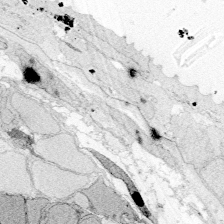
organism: Zebrafish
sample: Whole-Brain